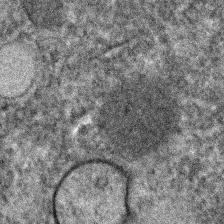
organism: C. elegans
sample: C. elegans embryo